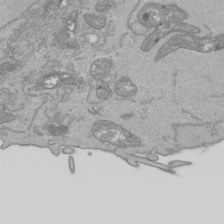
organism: Human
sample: Mitochondria in HCT116 cells